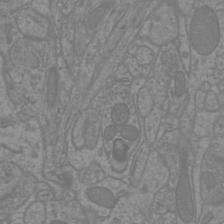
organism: Mouse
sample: Cortical neurons